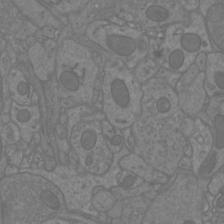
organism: Mouse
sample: Cortical neurons